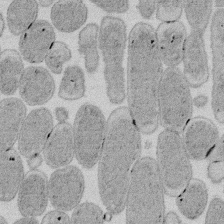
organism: E. coli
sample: Bacterial nucleoid